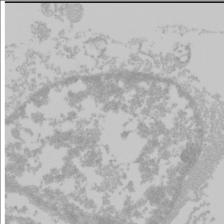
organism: Mouse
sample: Cancer cell death in ED-1 cells